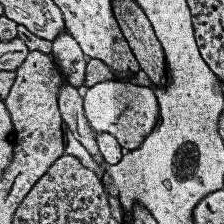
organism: Human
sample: Temporal Lobe